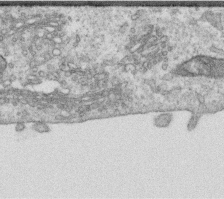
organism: Human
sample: Centriole in RPE cells